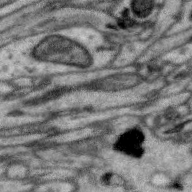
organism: Zebra finch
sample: Brain